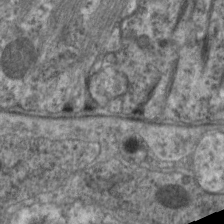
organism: C. elegans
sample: Pharynx